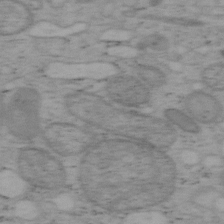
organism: Mouse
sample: OT-I killer T cells with ID8 ovarian cancer cells